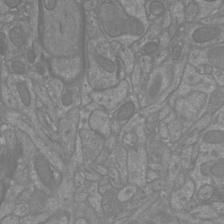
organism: Mouse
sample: Cortical neurons